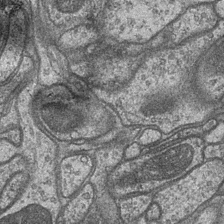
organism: Drosophila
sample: Optic medulla